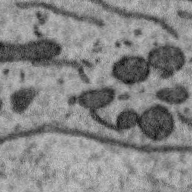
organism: Zebra finch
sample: Brain